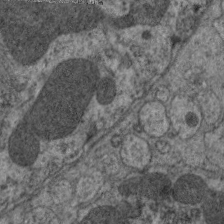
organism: C. elegans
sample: Pharynx